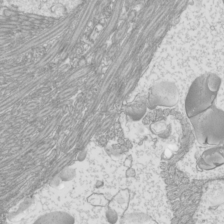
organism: Mouse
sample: Cilia; mouse epididymis